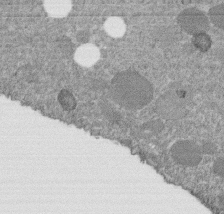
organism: C. elegans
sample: C. elegans embryo early stage